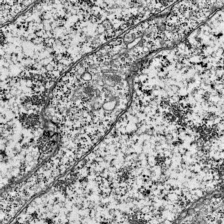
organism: Mouse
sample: Visual Cortex